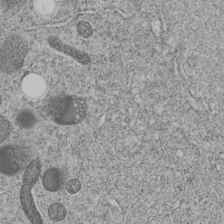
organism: C. elegans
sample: C. elegans embryo early stage